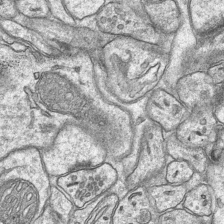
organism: Mouse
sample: CA1 Hippocampus